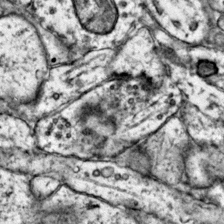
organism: Mouse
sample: Primary visual cortex